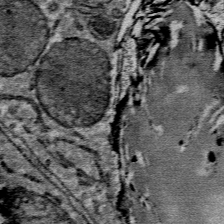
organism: Mouse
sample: Mouse Salivary gland